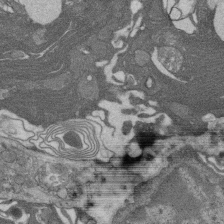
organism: Rat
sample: Salivary granule